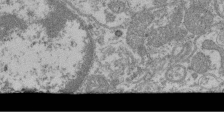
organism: Mouse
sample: Glomerulus